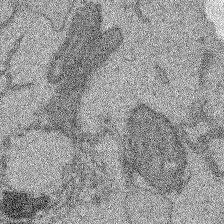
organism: Human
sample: HeLa cells